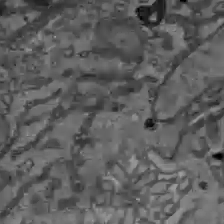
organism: C57BL Mouse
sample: Liver